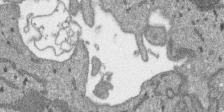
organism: Human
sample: Lung epithelial cells infected with SARS-CoV-2